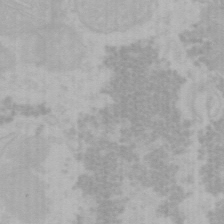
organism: Mouse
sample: Choroid plexus